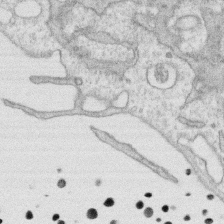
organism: Human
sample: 1205lu cells